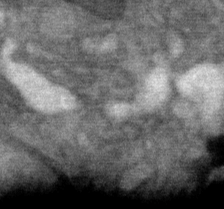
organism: Mouse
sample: Mouse Salivary gland